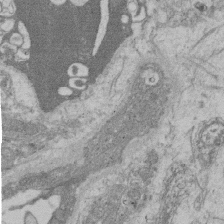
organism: Rat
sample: Salivary granule